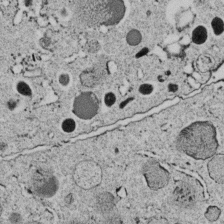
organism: C. elegans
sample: C. elegans embryo early stage